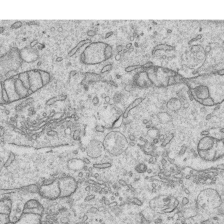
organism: Human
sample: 1205lu cells